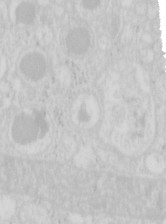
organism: Mouse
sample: Pancreas